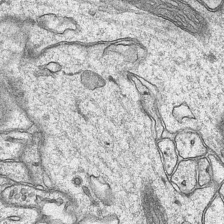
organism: Mouse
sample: CA1 Hippocampus